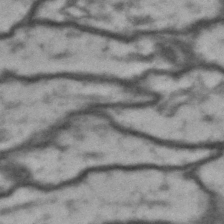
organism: Drosophila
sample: Brain